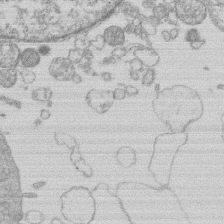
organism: Human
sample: Macrophage cells